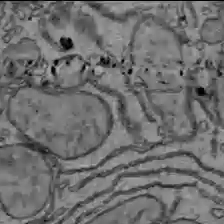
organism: C57BL Mouse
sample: Liver